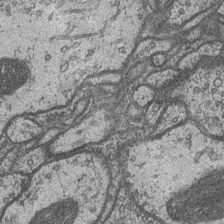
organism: Drosophila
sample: Optic medulla